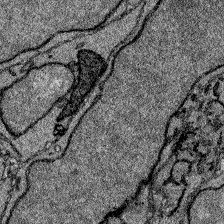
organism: Zebrafish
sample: Larval olfactory bulb